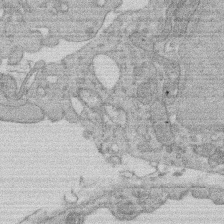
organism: Rat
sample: Salivary granule